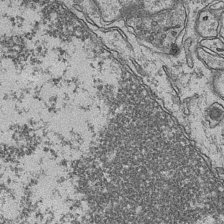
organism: Mouse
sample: CA1 Hippocampus